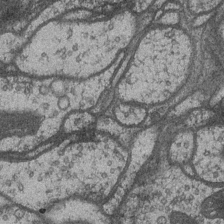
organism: Drosophila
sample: Optic medulla